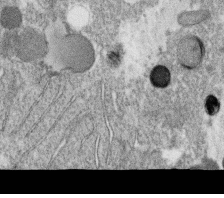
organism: C. elegans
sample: C. elegans oocyte; sperm cells